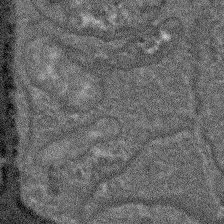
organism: Arabidopsis thaliana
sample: Root tip